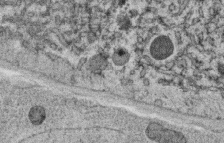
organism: C. elegans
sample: C. elegans oocyte; sperm cells